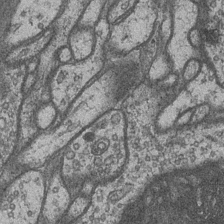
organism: Drosophila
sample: Optic medulla